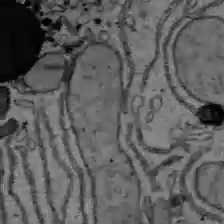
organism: C57BL Mouse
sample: Liver